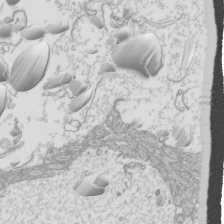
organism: Mouse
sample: Cilia; mouse epididymis